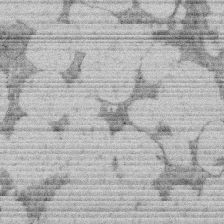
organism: Rat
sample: Salivary granule